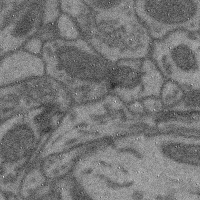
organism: Mouse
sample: Cerebral cortex